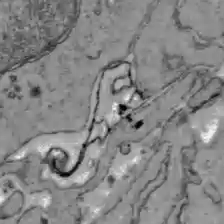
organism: C57BL Mouse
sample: Liver